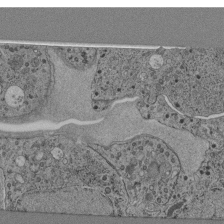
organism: C. elegans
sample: C. elegans pharynx